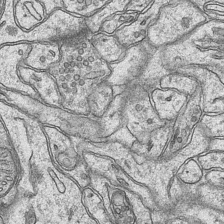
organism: Mouse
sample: CA1 Hippocampus